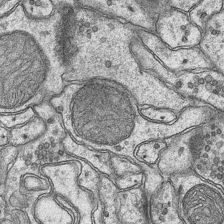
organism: Mouse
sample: CA1 Hippocampus